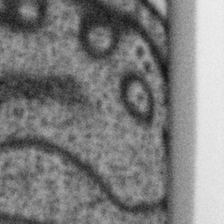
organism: Gemmata obscuriglobus